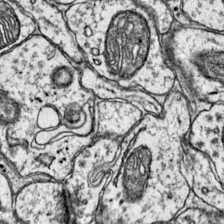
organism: Mouse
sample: Primary visual cortex